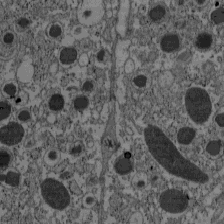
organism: C57BL Mouse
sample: Pancreatic islet